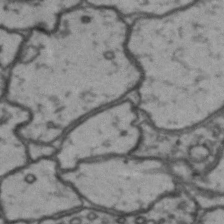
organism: Drosophila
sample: Brain